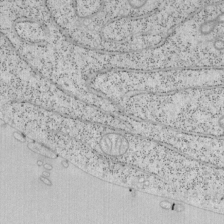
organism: Mouse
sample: OT-I killer T cells with ID8 ovarian cancer cells